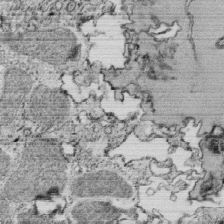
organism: Tetrahymena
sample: Cilia in tetrahymena